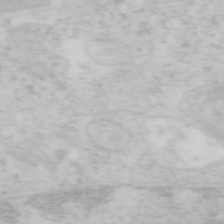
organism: Mouse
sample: OT-I killer T cells with ID8 ovarian cancer cells